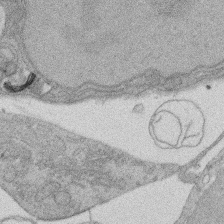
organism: Rat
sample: Salivary granule